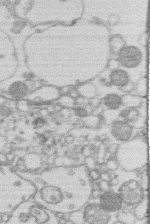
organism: Human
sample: Macrophage cells